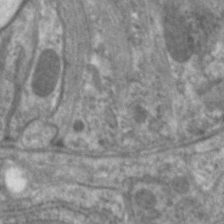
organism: C. elegans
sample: Pharynx